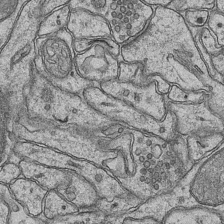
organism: Mouse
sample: CA1 Hippocampus